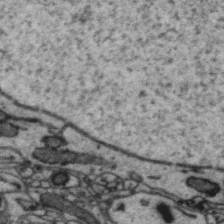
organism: Zebra finch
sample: Brain